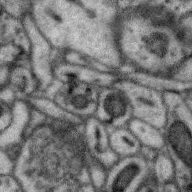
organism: Zebra finch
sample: Brain